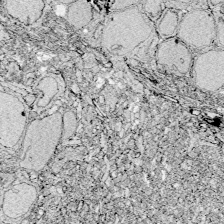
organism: Zebrafish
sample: Whole-Brain